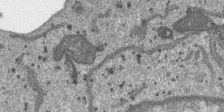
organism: Human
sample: Lung epithelial cells infected with SARS-CoV-2